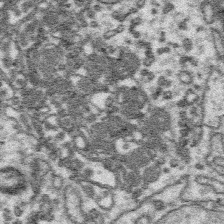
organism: Platynereis dumerilii